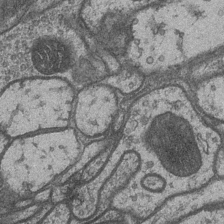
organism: Drosophila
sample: Optic medulla